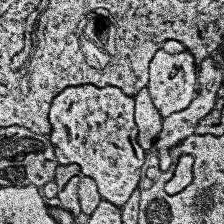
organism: Human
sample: Temporal Lobe